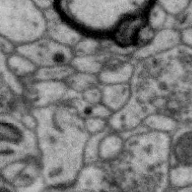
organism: Zebra finch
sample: Brain